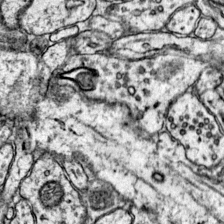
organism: Mouse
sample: Primary visual cortex